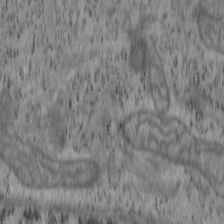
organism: Human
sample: HeLa cells